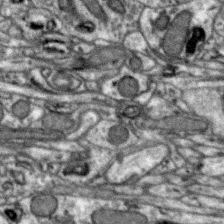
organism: Zebra finch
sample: Brain